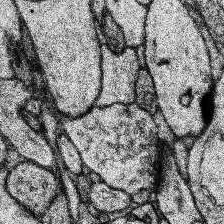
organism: Human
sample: Temporal Lobe